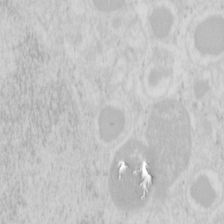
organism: Mouse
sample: Pancreas